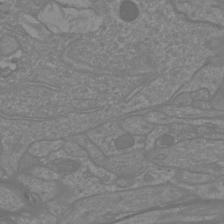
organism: Mouse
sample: Cortical neurons